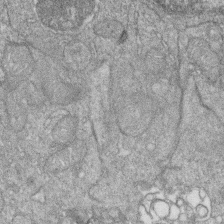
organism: Zebrafish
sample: Cilia; retinal pigment epithelium